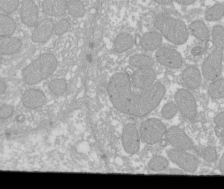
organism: Xenopus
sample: Cilia; centrioles in frog embryo cells